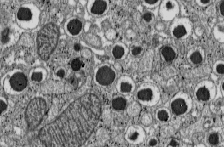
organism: C57BL Mouse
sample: Pancreatic islet